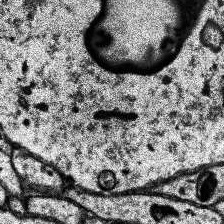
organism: Human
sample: Temporal Lobe